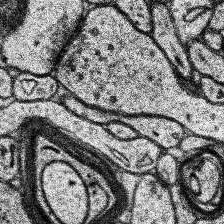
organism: Human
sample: Temporal Lobe